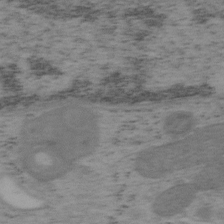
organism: Mouse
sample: OT-I killer T cells with ID8 ovarian cancer cells